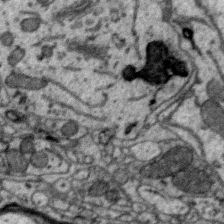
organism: Zebra finch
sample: Brain